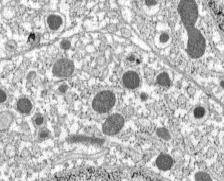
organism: C57BL Mouse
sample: Pancreatic islet